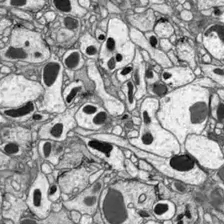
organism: Drosophila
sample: Optic lobe